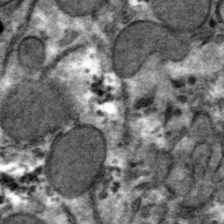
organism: Mouse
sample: Mouse hepatocytes